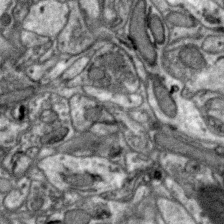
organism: Zebra finch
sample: Brain